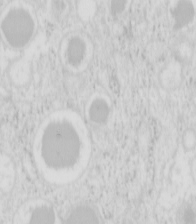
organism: Mouse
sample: Pancreas